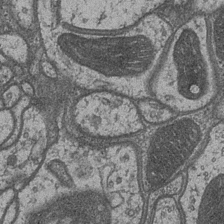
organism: Drosophila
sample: Optic medulla